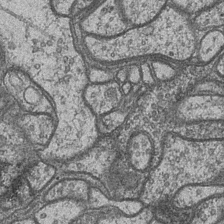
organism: Drosophila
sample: Optic medulla